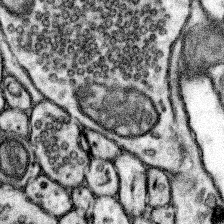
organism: Mouse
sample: Somatosensory cortex neuropil